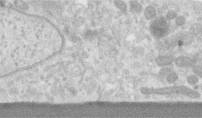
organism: Human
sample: Centriole in RPE cells